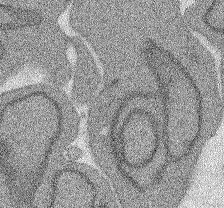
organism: Human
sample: HeLa cells